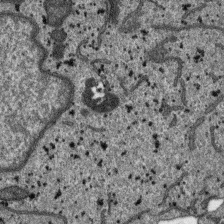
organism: Human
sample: Lung epithelial cells infected with SARS-CoV-2